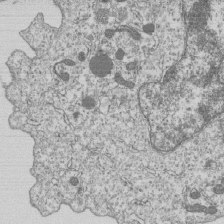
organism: Human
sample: MDA-MB-231 cells